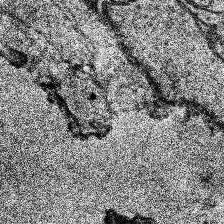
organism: Human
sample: Temporal Lobe